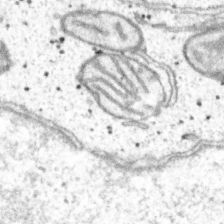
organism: Human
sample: HeLa cells